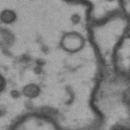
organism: Drosophila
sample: Brain